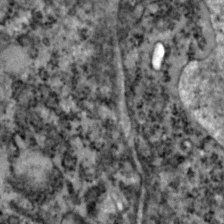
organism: Zebrafish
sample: Zebrafish embryo